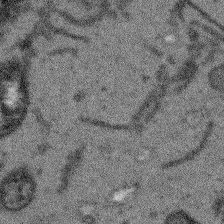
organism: Arabidopsis thaliana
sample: Root tip